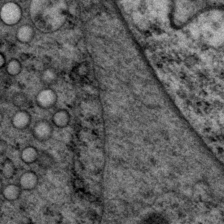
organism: P. pacificus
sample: Pharynx